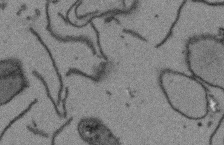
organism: Arabidopsis thaliana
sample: Root tip